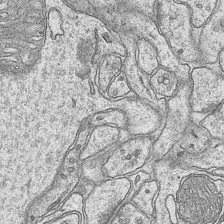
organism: Mouse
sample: CA1 Hippocampus